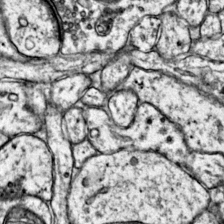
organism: Mouse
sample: Primary visual cortex